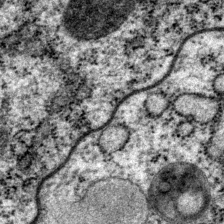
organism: P. pacificus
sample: Pharynx